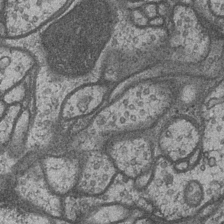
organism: Drosophila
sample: Optic medulla